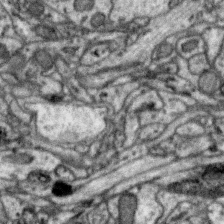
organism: Zebra finch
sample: Brain